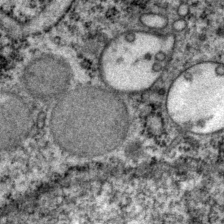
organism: P. pacificus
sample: Pharynx